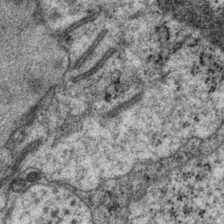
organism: P. pacificus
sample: Pharynx